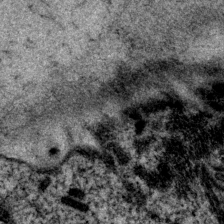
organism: P. pacificus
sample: Pharynx